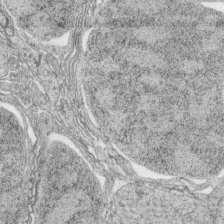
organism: Zebrafish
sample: synaptic ribbons in rod cells and cone cells